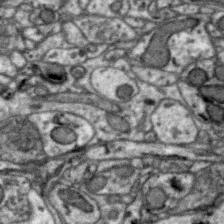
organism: Zebra finch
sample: Brain